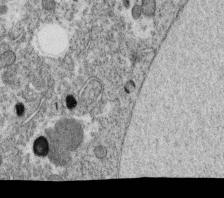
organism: C. elegans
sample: C. elegans oocyte; sperm cells